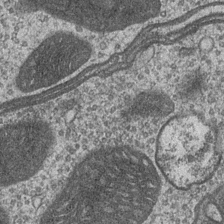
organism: Drosophila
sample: Optic medulla